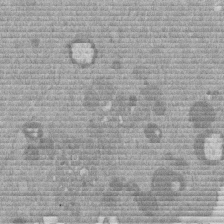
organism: Mouse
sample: Dividing mouse embryo 1 cell stage